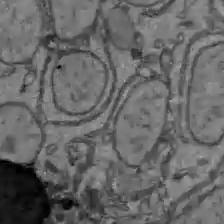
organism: C57BL Mouse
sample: Liver